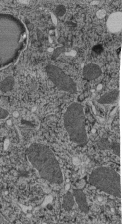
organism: C. elegans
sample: C. elegans pharynx